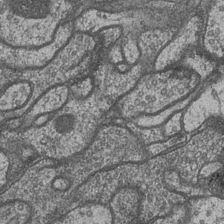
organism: Drosophila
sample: Optic medulla